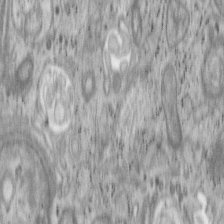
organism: Human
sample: HeLa cells